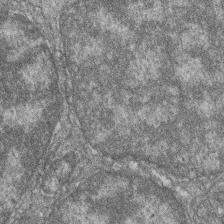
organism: Zebrafish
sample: Cilia; retinal pigment epithelium